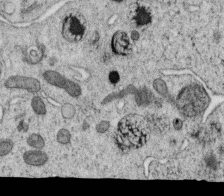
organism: C. elegans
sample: C. elegans oocyte; sperm cells